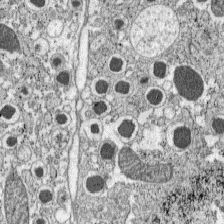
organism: C57BL Mouse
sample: Pancreatic islet